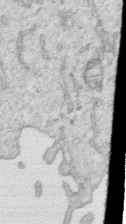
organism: Human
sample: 1205lu cells